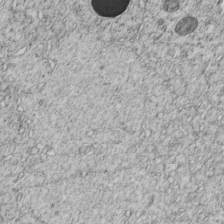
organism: C. elegans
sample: C. elegans embryo early stage